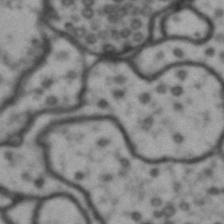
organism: Drosophila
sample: Brain